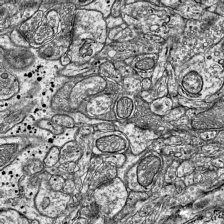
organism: Mouse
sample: Visual Cortex